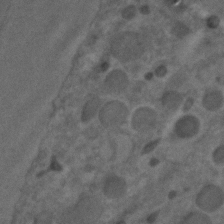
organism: C. elegans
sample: C. elegans embryo